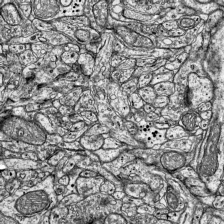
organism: Mouse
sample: Visual Cortex